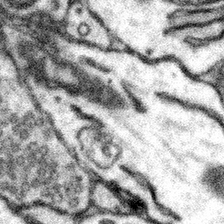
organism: Mouse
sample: Somatosensory cortex neuropil